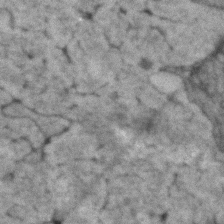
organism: Human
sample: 1205lu cells